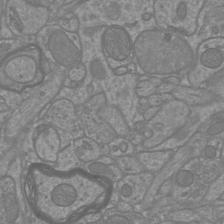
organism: Mouse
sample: Cortical neurons